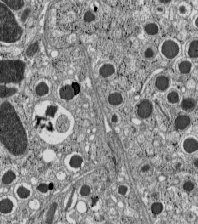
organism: C57BL Mouse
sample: Pancreatic islet